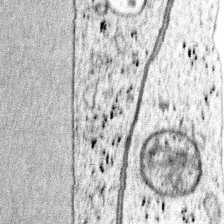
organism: Human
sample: HeLa cells